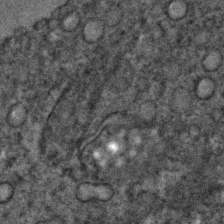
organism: C. elegans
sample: C. elegans embryo